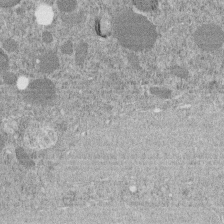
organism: C. elegans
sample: C. elegans embryo early stage